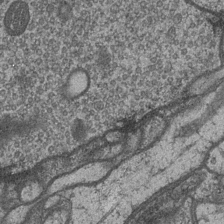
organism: Drosophila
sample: Optic medulla